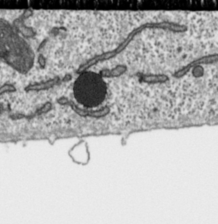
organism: Toxoplasma gondii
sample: Parasites in a vacuole inside a host cell